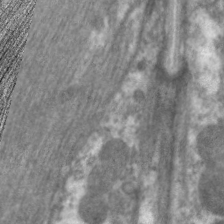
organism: C. elegans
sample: Pharynx